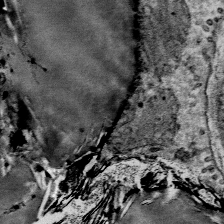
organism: Mouse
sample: Mouse Salivary gland